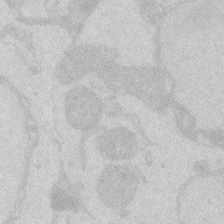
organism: Zebrafish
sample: Macrophage